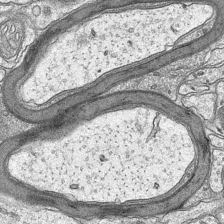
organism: Mouse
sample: CA1 Hippocampus